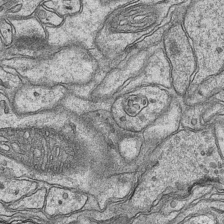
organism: Mouse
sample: CA1 Hippocampus